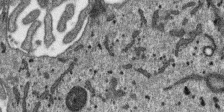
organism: Human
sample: Lung epithelial cells infected with SARS-CoV-2